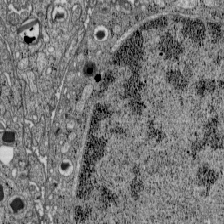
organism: C57BL Mouse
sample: Pancreatic islet